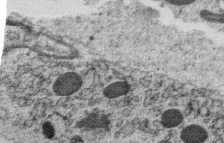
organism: C. elegans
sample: C. elegans oocyte; sperm cells